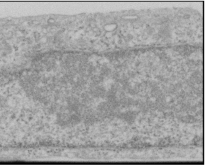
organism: Human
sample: Cilia; basal body in RPE cells